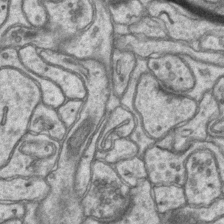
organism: Mouse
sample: CA1 Hippocampus